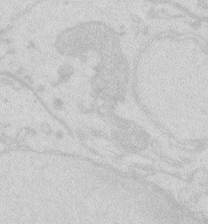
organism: Zebrafish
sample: Macrophage